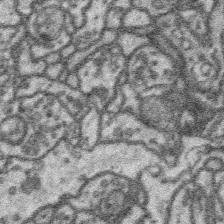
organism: Platynereis dumerilii